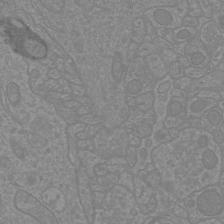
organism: Mouse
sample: Cortical neurons